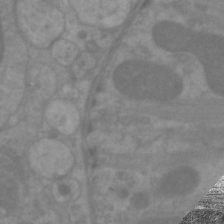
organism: C. elegans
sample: Pharynx